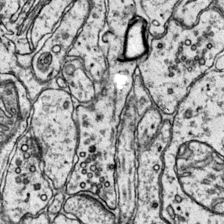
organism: Mouse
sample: Primary visual cortex